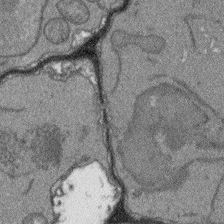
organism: Arabidopsis thaliana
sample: Root tip